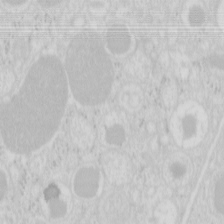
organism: Mouse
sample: Pancreas